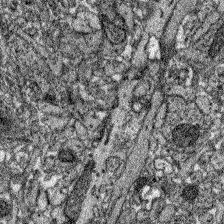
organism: Zebrafish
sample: Larval olfactory bulb